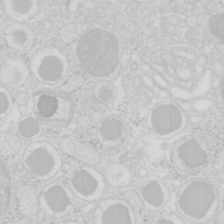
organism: Mouse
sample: Pancreas